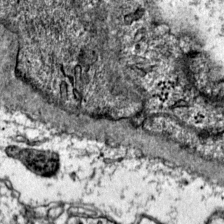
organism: Mouse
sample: Primary visual cortex